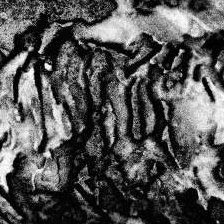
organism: Human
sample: Temporal Lobe